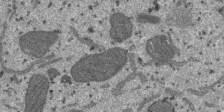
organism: Human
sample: Lung epithelial cells infected with SARS-CoV-2